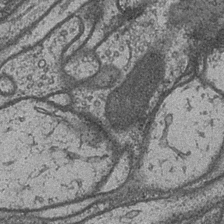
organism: Drosophila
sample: Optic medulla